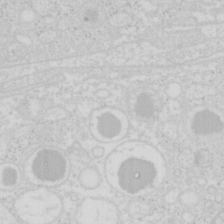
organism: Mouse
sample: Pancreas